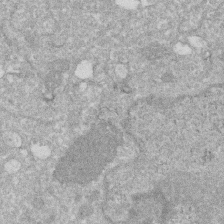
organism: Human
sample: HIV infected U937 cells